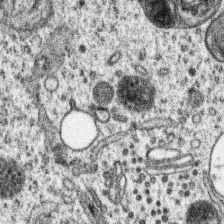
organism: Human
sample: HeLa cells